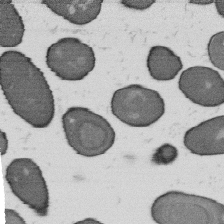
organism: B. subtilis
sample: Bacterial spore